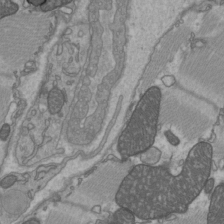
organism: C57BL Mouse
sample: Heart